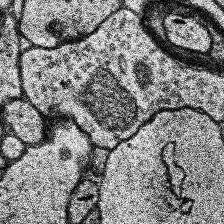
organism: Human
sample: Temporal Lobe